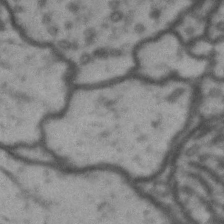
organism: Drosophila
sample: Brain